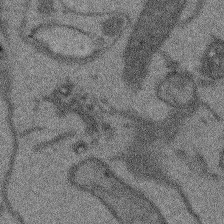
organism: Arabidopsis thaliana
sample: Root tip